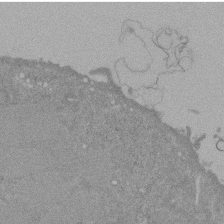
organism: Mouse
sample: ED-1 cell nuclei; centrioles